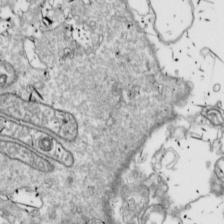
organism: Drosophila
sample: Cell division; meiosis; drosophila spermatocytes